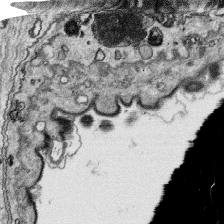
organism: Platynereis dumerilii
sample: Parapodia